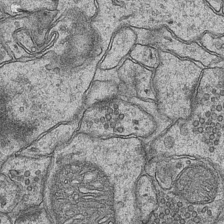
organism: Mouse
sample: CA1 Hippocampus